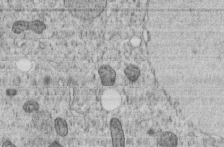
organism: C. elegans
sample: C. elegans embryo early stage